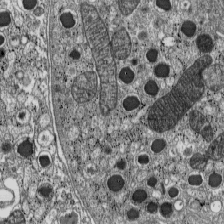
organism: C57BL Mouse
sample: Pancreatic islet